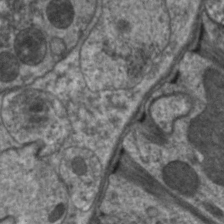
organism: C. elegans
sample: Pharynx